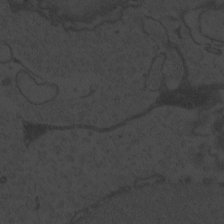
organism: Zebrafish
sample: Macrophage infected with Toxoplasma gondii